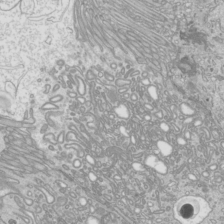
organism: Mouse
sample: Cilia; mouse epididymis